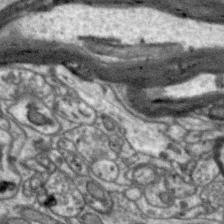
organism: Zebra finch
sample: Brain